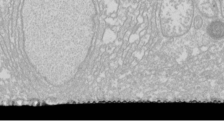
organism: Drosophila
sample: Cell division; meiosis; drosophila spermatocytes